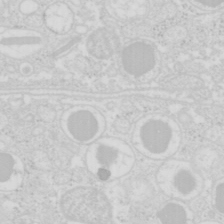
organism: Mouse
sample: Pancreas